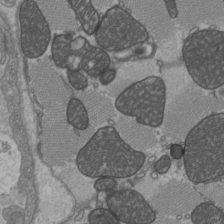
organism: C57BL Mouse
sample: Heart